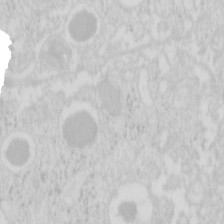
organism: Mouse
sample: Pancreas